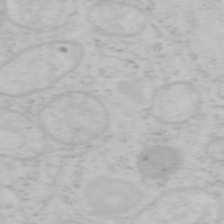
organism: Mouse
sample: OT-I killer T cells with ID8 ovarian cancer cells